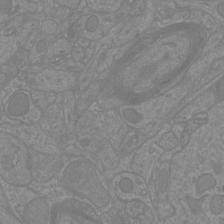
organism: Mouse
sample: Cortical neurons